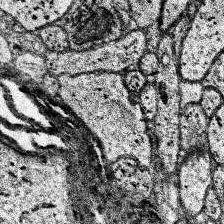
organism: Human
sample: Temporal Lobe